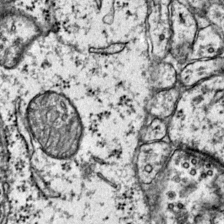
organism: Mouse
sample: Primary visual cortex